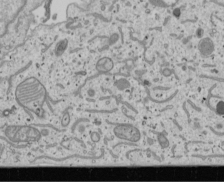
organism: Human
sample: Mitochondria in U2OS cells